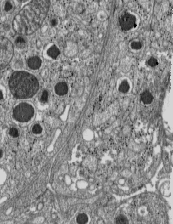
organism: C57BL Mouse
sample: Pancreatic islet